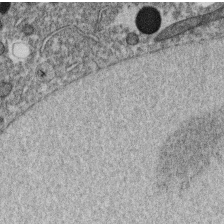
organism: C. elegans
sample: C. elegans oocyte; sperm cells